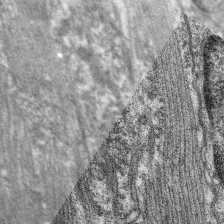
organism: C. elegans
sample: Pharynx